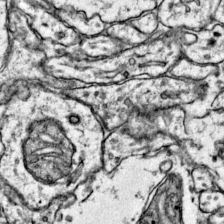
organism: Mouse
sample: Primary visual cortex